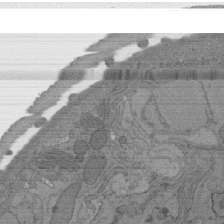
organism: C. elegans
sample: AFD neurons C. elegans